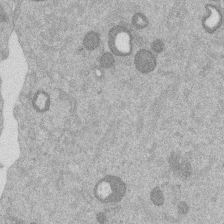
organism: Mouse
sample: Dividing mouse embryo 1 cell stage